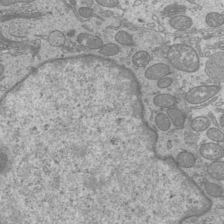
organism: Mouse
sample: Cilia; mouse epididymis